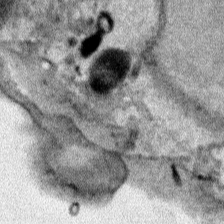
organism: Human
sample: Mitochondria in HCT116 cells